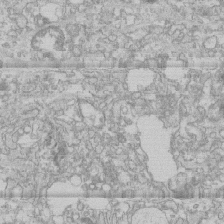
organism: Human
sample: CRL-1474